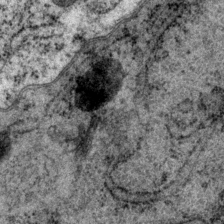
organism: P. pacificus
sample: Pharynx